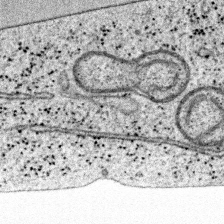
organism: Human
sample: HeLa cells